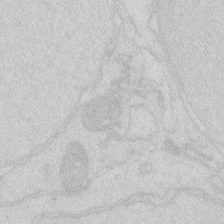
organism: Zebrafish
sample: Macrophage